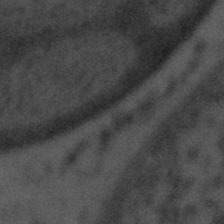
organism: Tuwongella immobilis